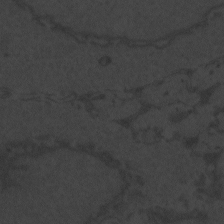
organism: Zebrafish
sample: Macrophage infected with Toxoplasma gondii